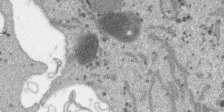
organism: Human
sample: Lung epithelial cells infected with SARS-CoV-2